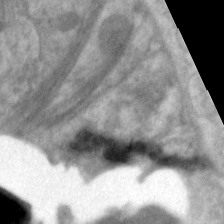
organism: C. elegans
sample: Pharynx